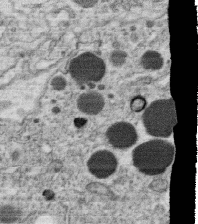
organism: C. elegans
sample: C. elegans oocyte; sperm cells